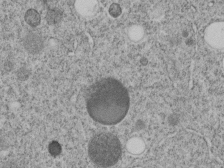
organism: C. elegans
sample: C. elegans embryo early stage